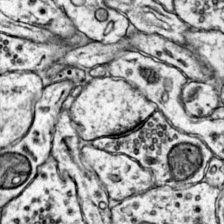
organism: Mouse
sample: Primary visual cortex